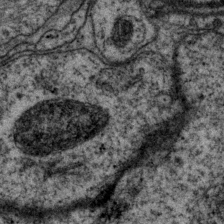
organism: P. pacificus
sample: Pharynx